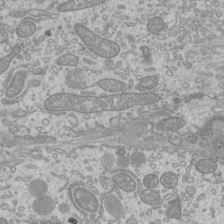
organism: Mouse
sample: Cilia; mouse epididymis